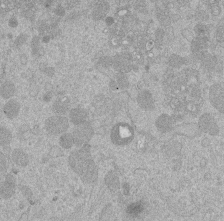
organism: Mouse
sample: Dividing mouse embryo 1 cell stage